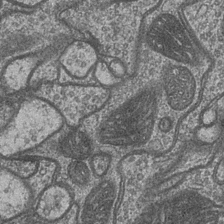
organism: Drosophila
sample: Optic medulla